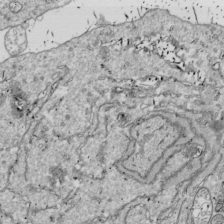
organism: Drosophila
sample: Cell division; meiosis; drosophila spermatocytes